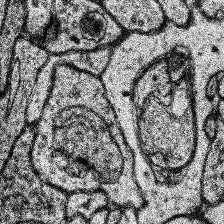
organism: Human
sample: Temporal Lobe